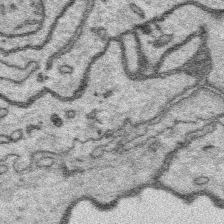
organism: Platynereis dumerilii